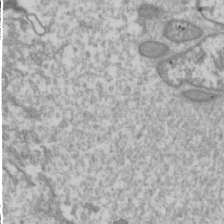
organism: Drosophila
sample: Cell division; meiosis; drosophila spermatocytes